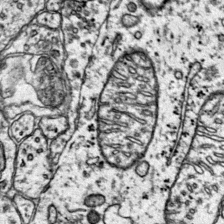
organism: Mouse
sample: Primary visual cortex